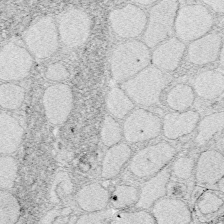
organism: Zebrafish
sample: Whole-Brain